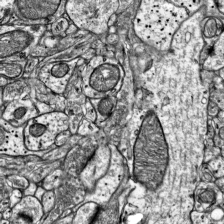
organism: Mouse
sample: Visual Cortex